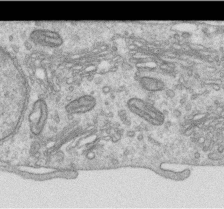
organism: Human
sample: Centriole in RPE cells